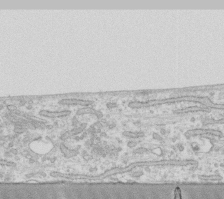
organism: Human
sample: Fibroblast cells